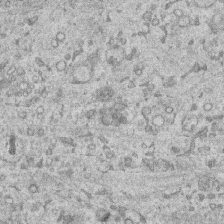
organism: Human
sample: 1205lu cells